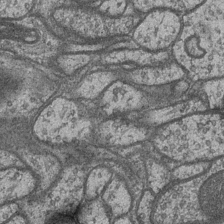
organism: Drosophila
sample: Optic medulla